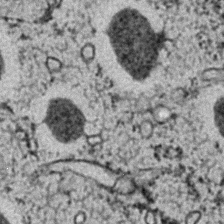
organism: C. elegans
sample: C. elegans embryo